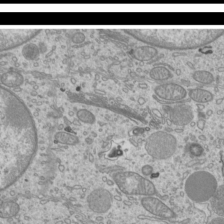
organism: Mouse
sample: Cilia; mouse epididymis